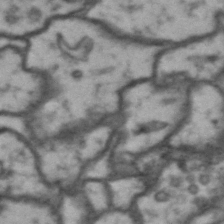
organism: Drosophila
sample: Brain